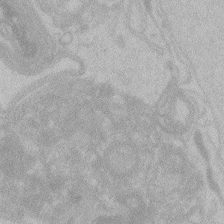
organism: Zebrafish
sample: Macrophage infected with Toxoplasma gondii